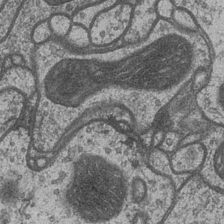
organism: Drosophila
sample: Optic medulla